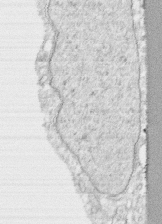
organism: Human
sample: CRL-1474